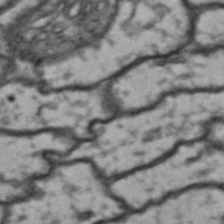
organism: Drosophila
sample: Brain